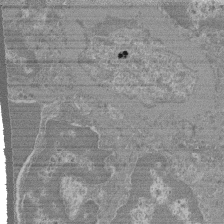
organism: Mouse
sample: Glomerulus